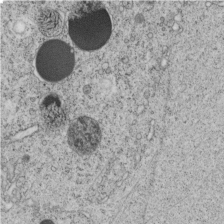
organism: C. elegans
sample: C. elegans embryo early stage